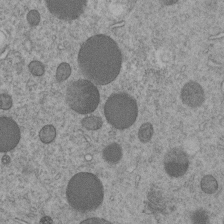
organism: C. elegans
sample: C. elegans embryo early stage